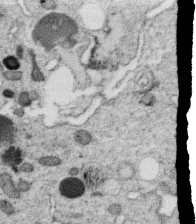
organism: C. elegans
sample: C. elegans oocyte; sperm cells